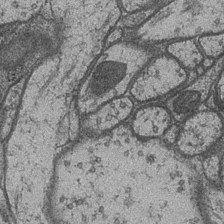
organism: Drosophila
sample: Optic medulla